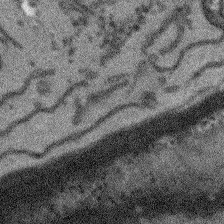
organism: Arabidopsis thaliana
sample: Root tip